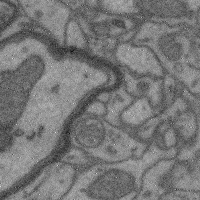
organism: Mouse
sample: Cerebral cortex